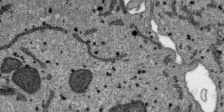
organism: Human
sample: Lung epithelial cells, uninfected (mock) control